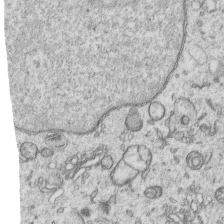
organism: Human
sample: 1205lu cells